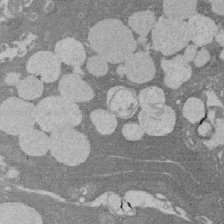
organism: Rat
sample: Salivary granule